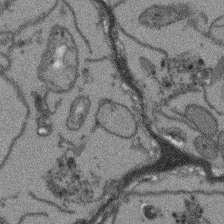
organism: Arabidopsis thaliana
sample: Root tip